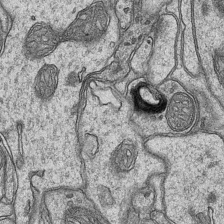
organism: Mouse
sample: CA1 Hippocampus